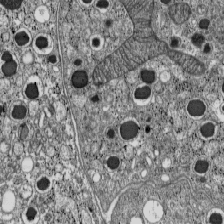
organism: C57BL Mouse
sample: Pancreatic islet